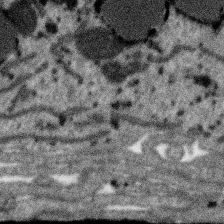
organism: Human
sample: Lung epithelial cells infected with SARS-CoV-2